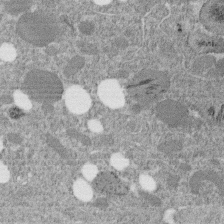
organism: C. elegans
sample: C. elegans embryo early stage